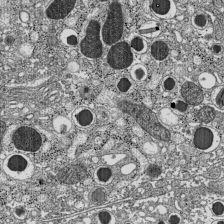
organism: C57BL Mouse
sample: Pancreatic islet